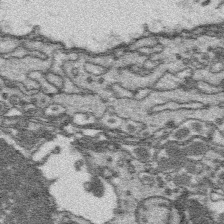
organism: Platynereis dumerilii